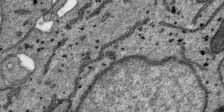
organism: Human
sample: Lung epithelial cells, uninfected (mock) control